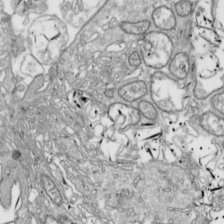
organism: Drosophila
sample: Cell division; meiosis; drosophila spermatocytes